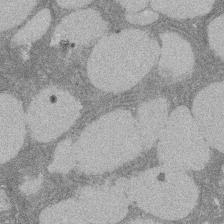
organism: Rat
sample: Salivary granule